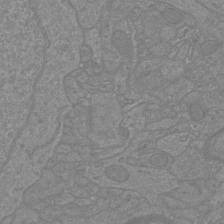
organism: Mouse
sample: Cortical neurons